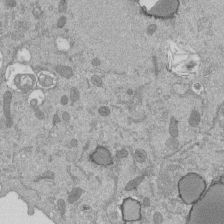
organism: Mouse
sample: ED-1 cell nuclei; centrioles